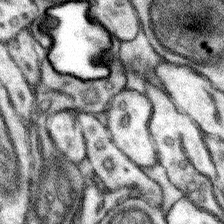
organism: Mouse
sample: Somatosensory cortex neuropil